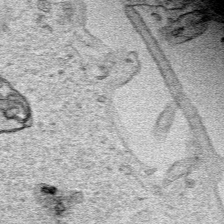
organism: Human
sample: Mitochondria in HCT116 cells